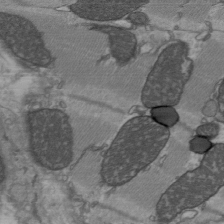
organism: C57BL Mouse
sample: Heart